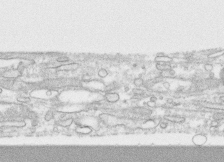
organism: Human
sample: CRL-1474